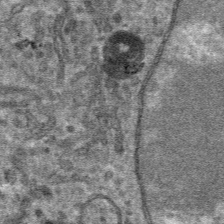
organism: Mouse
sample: Mouse hepatocytes